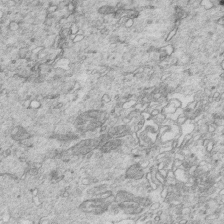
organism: Mouse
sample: Multiciliated cells